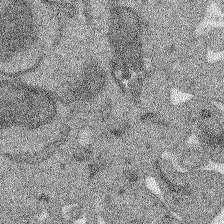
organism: Human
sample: HeLa cells